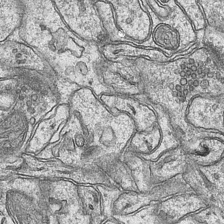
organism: Mouse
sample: CA1 Hippocampus